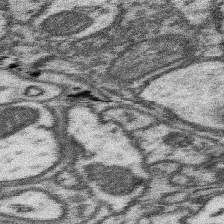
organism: Mouse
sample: Somatosensory cortex neuropil